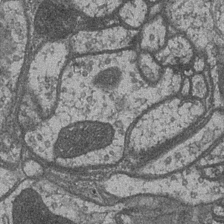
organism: Drosophila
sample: Optic medulla